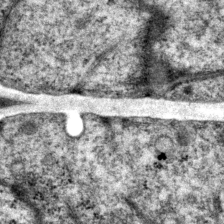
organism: P. pacificus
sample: Pharynx